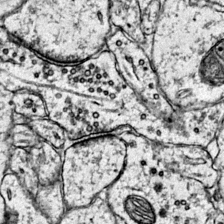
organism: Mouse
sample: Primary visual cortex